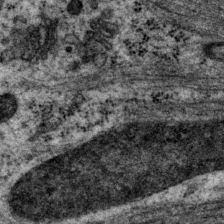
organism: P. pacificus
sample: Pharynx